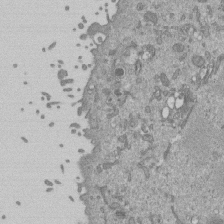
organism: Mouse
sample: ED-1 cell nuclei; centrioles